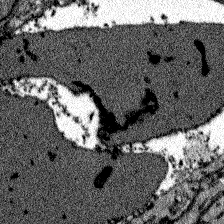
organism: Zebrafish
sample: Larval olfactory bulb